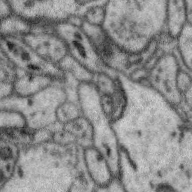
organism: Zebra finch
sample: Brain